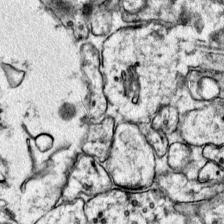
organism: Mouse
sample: Primary visual cortex